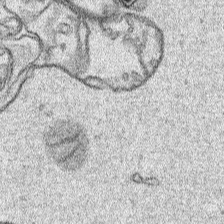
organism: Human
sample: Mitochondria in HCT116 cells